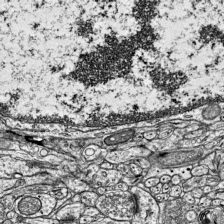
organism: Mouse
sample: Visual Cortex